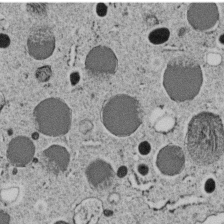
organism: C. elegans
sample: C. elegans embryo early stage